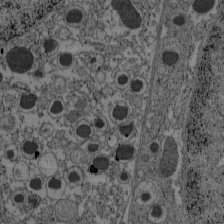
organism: C57BL Mouse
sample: Pancreatic islet